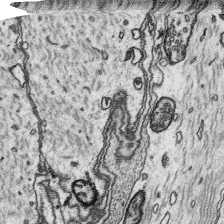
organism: Platynereis dumerilii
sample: Parapodia